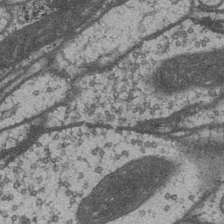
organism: Drosophila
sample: Optic medulla